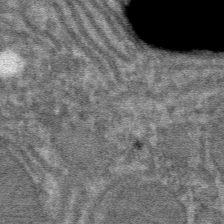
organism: Mouse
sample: Mouse hepatocytes